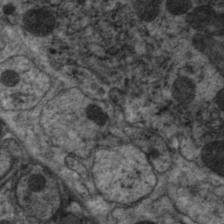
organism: C. elegans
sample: Pharynx